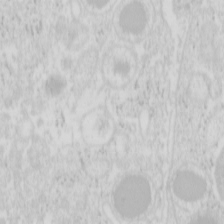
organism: Mouse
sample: Pancreas